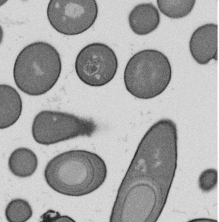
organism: B. subtilis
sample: Bacterial spore